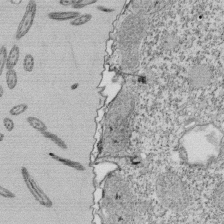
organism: Tetrahymena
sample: Cilia in tetrahymena